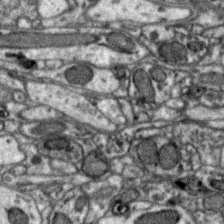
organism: Zebra finch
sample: Brain